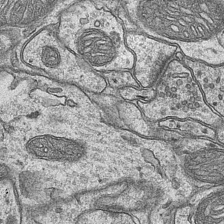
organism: Mouse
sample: CA1 Hippocampus